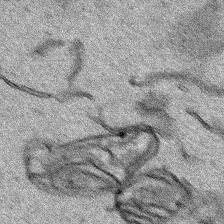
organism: Human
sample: Mitochondria in HCT116 cells